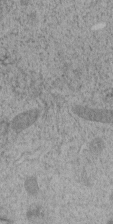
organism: C. elegans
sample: C. elegans embryo early stage